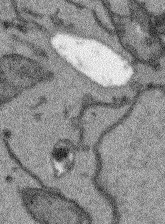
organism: Arabidopsis thaliana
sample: Root tip